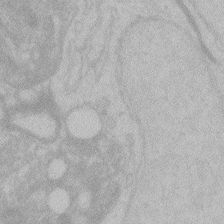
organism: Zebrafish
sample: Macrophage infected with Toxoplasma gondii